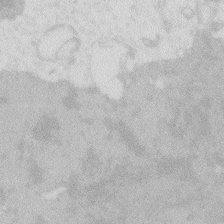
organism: Zebrafish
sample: Macrophage